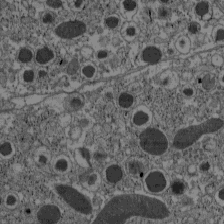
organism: C57BL Mouse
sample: Pancreatic islet